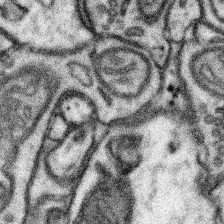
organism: Mouse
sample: Somatosensory cortex neuropil